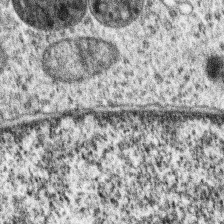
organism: Human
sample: HeLa cells